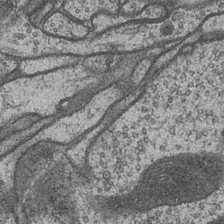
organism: Drosophila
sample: Optic medulla